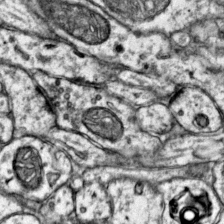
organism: Mouse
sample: Primary visual cortex